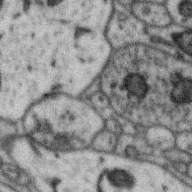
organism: Zebra finch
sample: Brain